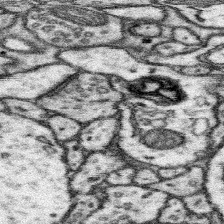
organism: Mouse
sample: Somatosensory cortex neuropil